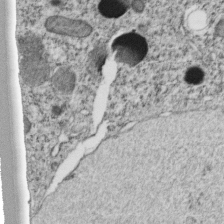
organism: C. elegans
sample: C. elegans embryo early stage